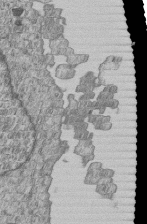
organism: Human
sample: MDA-MB-231 cells